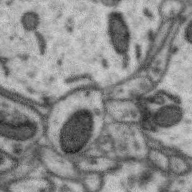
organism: Zebra finch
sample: Brain